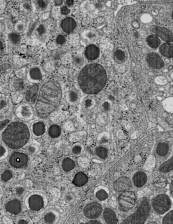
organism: C57BL Mouse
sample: Pancreatic islet